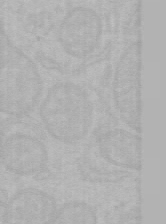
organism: Mouse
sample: Choroid plexus